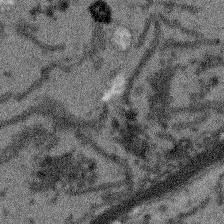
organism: Arabidopsis thaliana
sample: Root tip